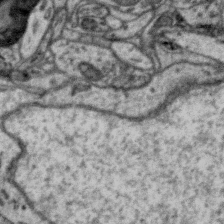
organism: Zebra finch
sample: Brain